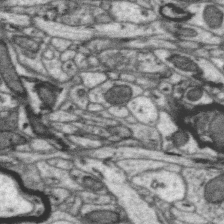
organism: Zebra finch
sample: Brain